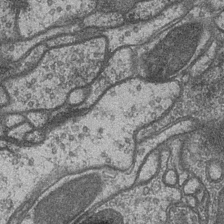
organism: Drosophila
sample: Optic medulla